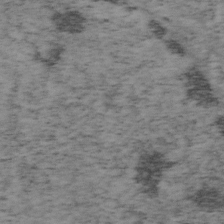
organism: Mouse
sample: OT-I killer T cells with ID8 ovarian cancer cells